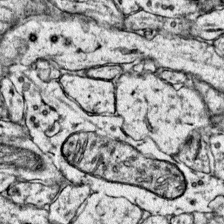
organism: Mouse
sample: Primary visual cortex